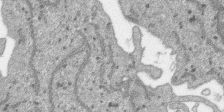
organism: Human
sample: Lung epithelial cells infected with SARS-CoV-2